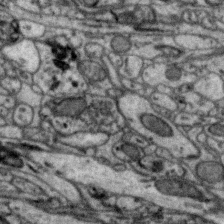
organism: Zebra finch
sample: Brain